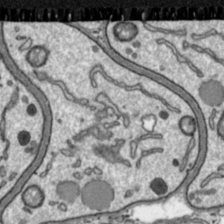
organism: Toxoplasma gondii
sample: Parasites in a vacuole inside a host cell